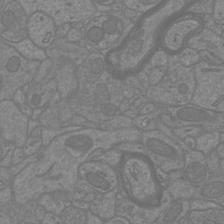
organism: Mouse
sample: Cortical neurons